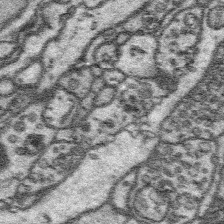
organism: Platynereis dumerilii